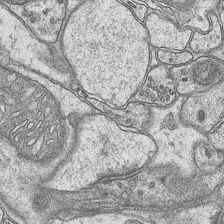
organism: Mouse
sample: CA1 Hippocampus